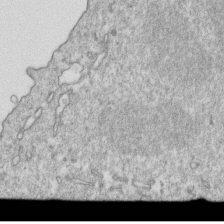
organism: Mouse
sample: Activated OT-1 CD8+ T cells